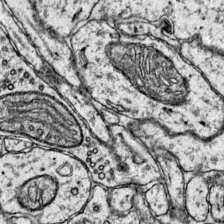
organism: Mouse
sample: Primary visual cortex